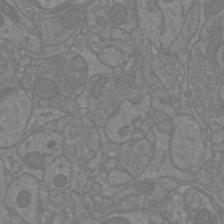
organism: Mouse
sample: Cortical neurons